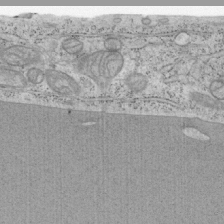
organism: Human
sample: HeLa cells